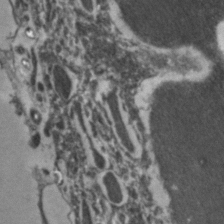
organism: Zebrafish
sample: Zebrafish embryo